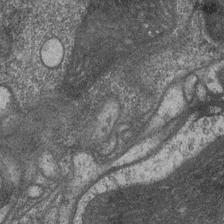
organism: Drosophila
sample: Optic medulla